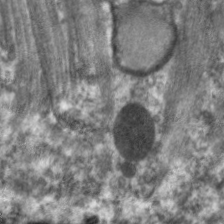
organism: C. elegans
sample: Pharynx